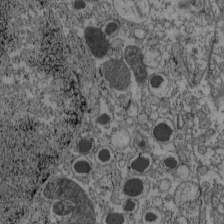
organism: C57BL Mouse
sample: Pancreatic islet